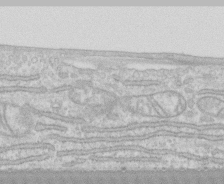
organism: Human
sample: CRL-1474